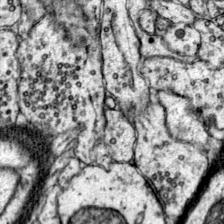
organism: Mouse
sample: Primary visual cortex